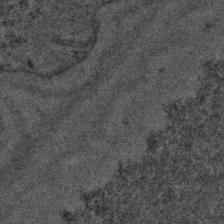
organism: C. elegans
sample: C. elegans embryo